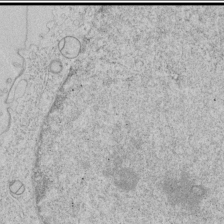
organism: Human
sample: Mitochondria in HCT116 cells